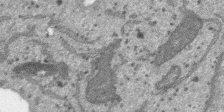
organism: Human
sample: Lung epithelial cells infected with SARS-CoV-2